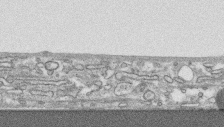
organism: Human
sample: CRL-1474